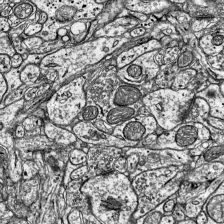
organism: Mouse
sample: Visual Cortex